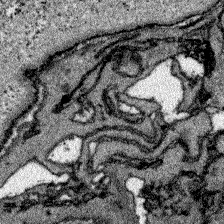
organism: Zebrafish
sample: Larval olfactory bulb